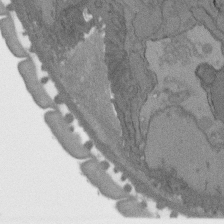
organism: C. elegans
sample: AFD neurons C. elegans